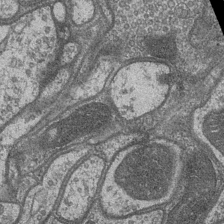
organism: Drosophila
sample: Optic medulla